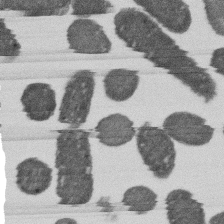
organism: E. coli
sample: Bacterial nucleoid